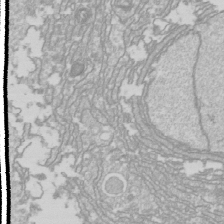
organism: Drosophila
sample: Cell division; meiosis; drosophila spermatocytes